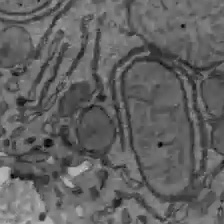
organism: C57BL Mouse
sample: Liver